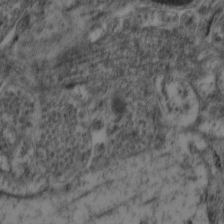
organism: Mouse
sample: Neocortex